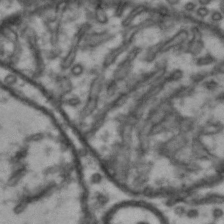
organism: Drosophila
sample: Brain